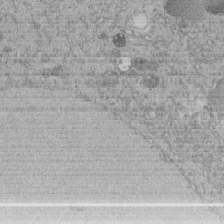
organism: C. elegans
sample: C. elegans embryo early stage